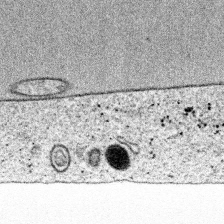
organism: Human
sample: HeLa cells